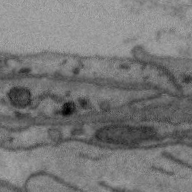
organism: Zebra finch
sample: Brain